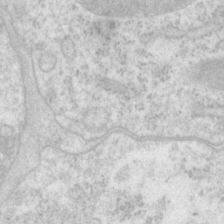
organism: P. pacificus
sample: Pharynx